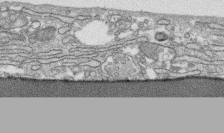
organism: Human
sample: CRL-1474